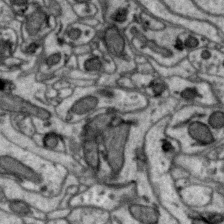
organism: Zebra finch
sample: Brain